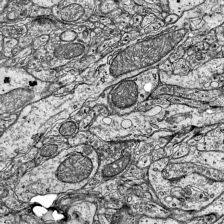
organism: Mouse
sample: Visual Cortex